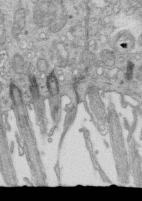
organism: Mouse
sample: Multiciliated cells